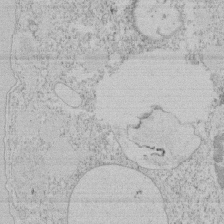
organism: Tetrahymena